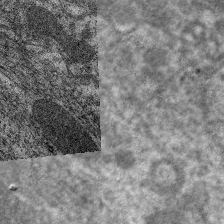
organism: C. elegans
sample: Pharynx